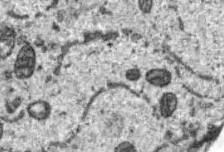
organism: Human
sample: HeLa cells